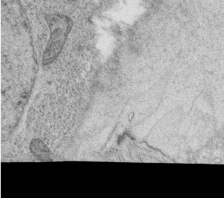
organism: C. elegans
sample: C. elegans oocyte; sperm cells